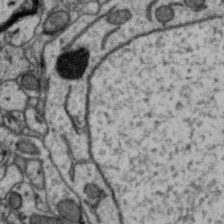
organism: Zebra finch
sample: Brain